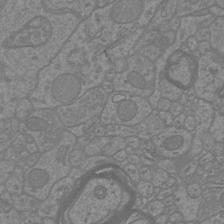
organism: Mouse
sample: Cortical neurons